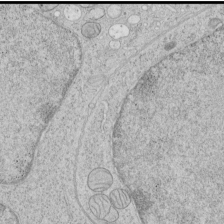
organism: Human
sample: Mitochondria in HCT116 cells